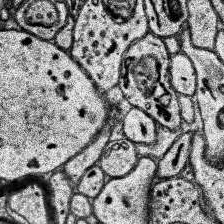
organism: Human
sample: Temporal Lobe